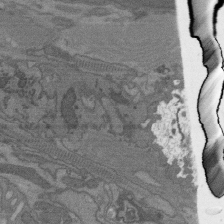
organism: C. elegans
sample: AFD neurons C. elegans